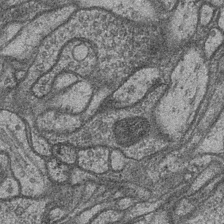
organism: Drosophila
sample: Optic medulla